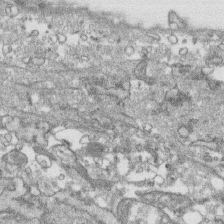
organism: Human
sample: CRL-1474